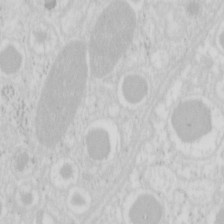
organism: Mouse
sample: Pancreas